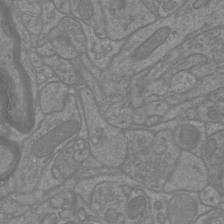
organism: Mouse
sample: Cortical neurons